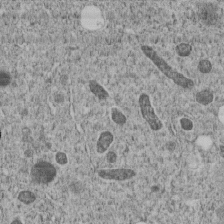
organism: C. elegans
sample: C. elegans embryo early stage